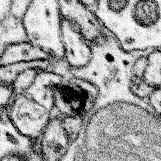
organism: Mouse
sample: Somatosensory cortex neuropil